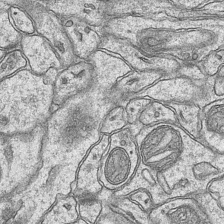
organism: Mouse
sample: CA1 Hippocampus